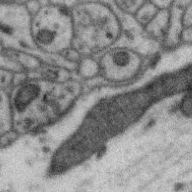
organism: Zebra finch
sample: Brain